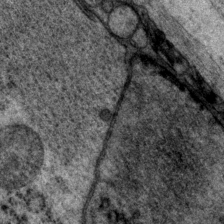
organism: P. pacificus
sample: Pharynx